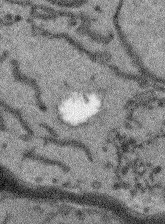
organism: Arabidopsis thaliana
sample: Root tip